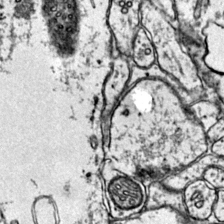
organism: Mouse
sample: Primary visual cortex